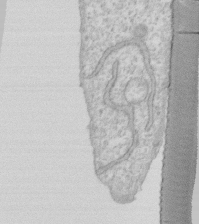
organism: Human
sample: Fibroblast cells